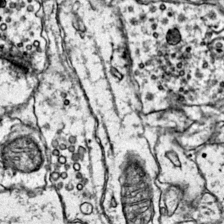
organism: Mouse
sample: Primary visual cortex